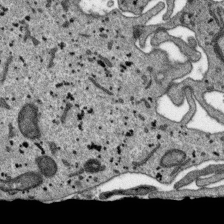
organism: Human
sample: Lung epithelial cells, uninfected (mock) control